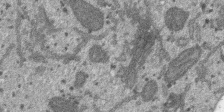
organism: Human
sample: Lung epithelial cells infected with SARS-CoV-2